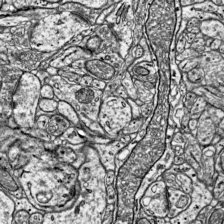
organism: Mouse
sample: Visual Cortex